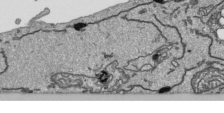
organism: Human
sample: Mitochondria in HCT116 cells